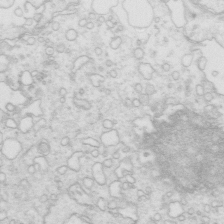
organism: Mouse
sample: Multiciliated cells